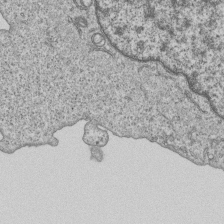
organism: Human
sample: MDA-MB-231 cells